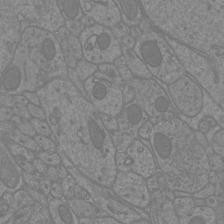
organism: Mouse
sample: Cortical neurons